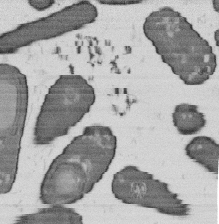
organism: B. subtilis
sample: Bacterial spore